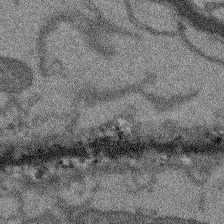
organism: Arabidopsis thaliana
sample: Root tip